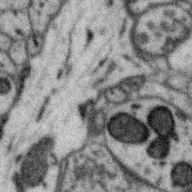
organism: Zebra finch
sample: Brain